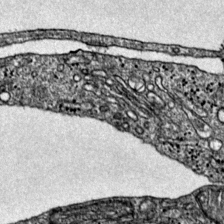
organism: Mouse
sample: Primary visual cortex